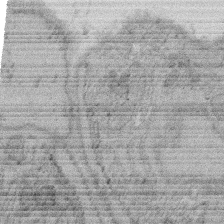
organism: Rat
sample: Salivary granule